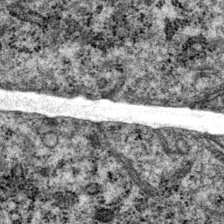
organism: P. pacificus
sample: Pharynx